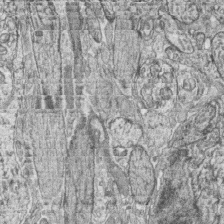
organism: Zebrafish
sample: synaptic ribbons in rod cells and cone cells